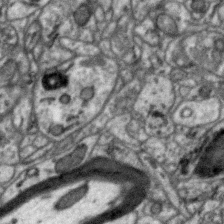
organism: Zebra finch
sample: Brain